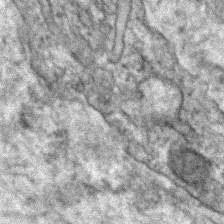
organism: Human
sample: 1205lu cells